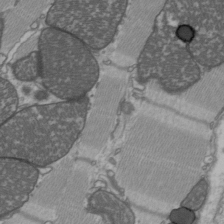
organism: C57BL Mouse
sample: Heart